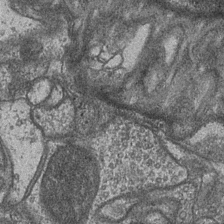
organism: Drosophila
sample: Optic medulla